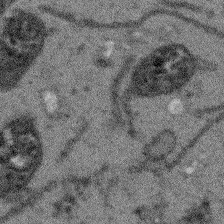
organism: Arabidopsis thaliana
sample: Root tip